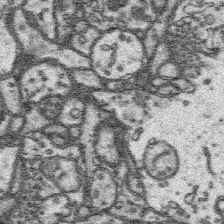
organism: Platynereis dumerilii